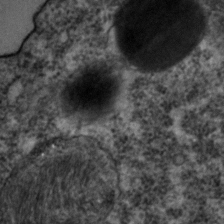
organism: C. elegans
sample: C. elegans embryo